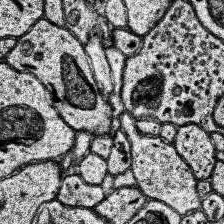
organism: Human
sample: Temporal Lobe